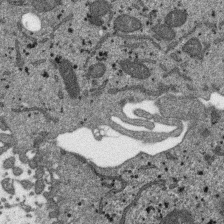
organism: Human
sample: Lung epithelial cells infected with SARS-CoV-2